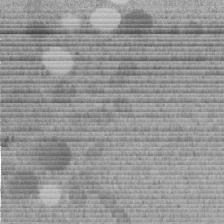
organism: C. elegans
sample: C. elegans embryo early stage